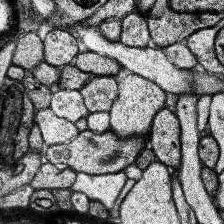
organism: Human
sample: Temporal Lobe